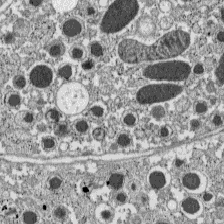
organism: C57BL Mouse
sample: Pancreatic islet